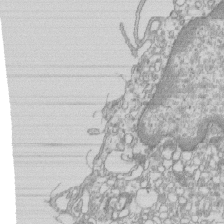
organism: Mouse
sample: Macrophages